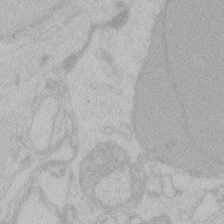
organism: Zebrafish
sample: Macrophage infected with Toxoplasma gondii